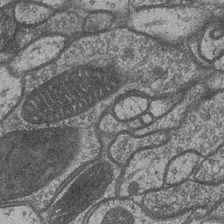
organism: Drosophila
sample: Optic medulla